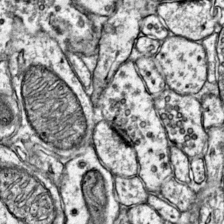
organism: Mouse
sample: Primary visual cortex